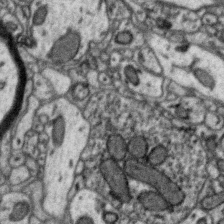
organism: Zebra finch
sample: Brain